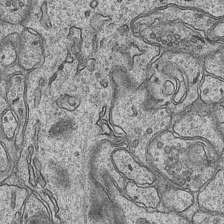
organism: Mouse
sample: CA1 Hippocampus